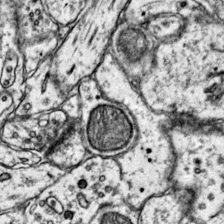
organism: Mouse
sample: Primary visual cortex